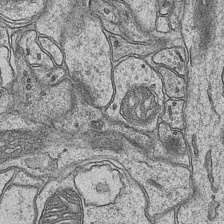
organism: Mouse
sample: CA1 Hippocampus